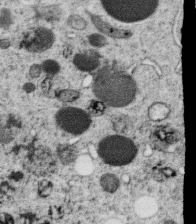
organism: C. elegans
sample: C. elegans oocyte; sperm cells